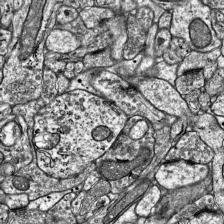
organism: Mouse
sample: Visual Cortex